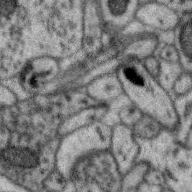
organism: Zebra finch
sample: Brain